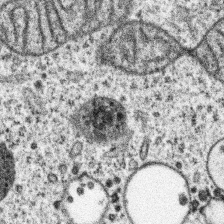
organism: Human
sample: HeLa cells